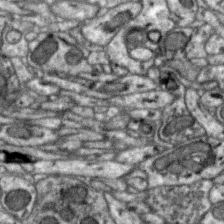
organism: Zebra finch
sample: Brain